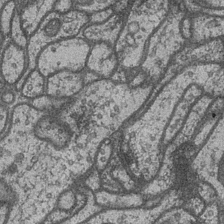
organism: Drosophila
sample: Optic medulla